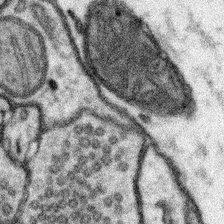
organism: Mouse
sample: Somatosensory cortex neuropil